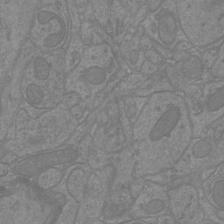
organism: Mouse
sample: Cortical neurons